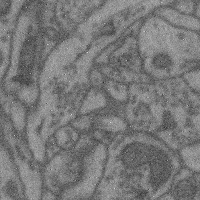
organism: Mouse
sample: Cerebral cortex